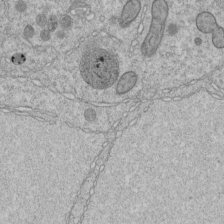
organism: C. elegans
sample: C. elegans embryo early stage